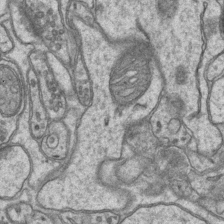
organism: Mouse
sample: CA1 Hippocampus